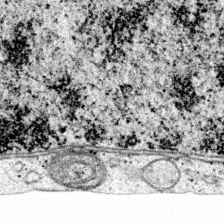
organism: Human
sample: HeLa cells